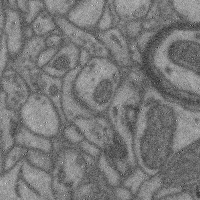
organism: Mouse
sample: Cerebral cortex